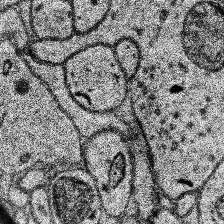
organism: Human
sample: Temporal Lobe